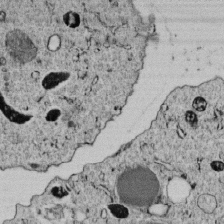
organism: C. elegans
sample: C. elegans embryo early stage